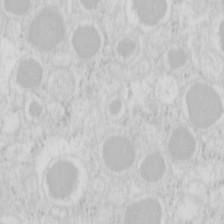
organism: Mouse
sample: Pancreas